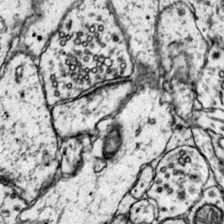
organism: Mouse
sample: Primary visual cortex